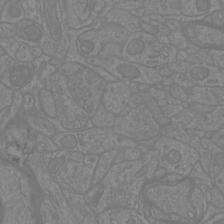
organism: Mouse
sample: Cortical neurons